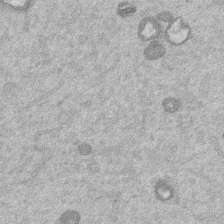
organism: Mouse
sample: Dividing mouse embryo 1 cell stage